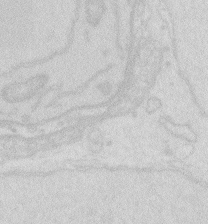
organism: Zebrafish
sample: Macrophage